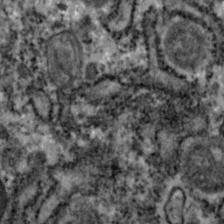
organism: Zebrafish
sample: Zebrafish embryo